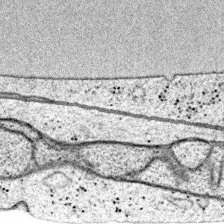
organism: Human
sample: HeLa cells